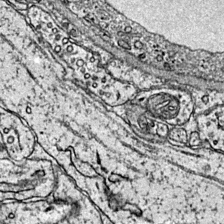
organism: Mouse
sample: Primary visual cortex